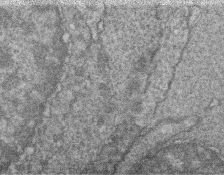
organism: Zebrafish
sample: Cilia; retinal pigment epithelium